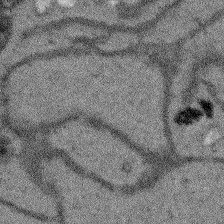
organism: Arabidopsis thaliana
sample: Root tip